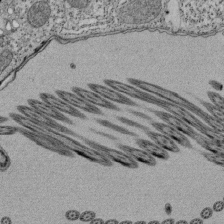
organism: Tetrahymena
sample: Cilia in tetrahymena